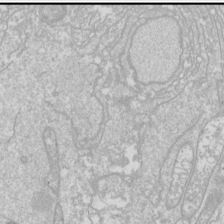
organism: Drosophila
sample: Cell division; meiosis; drosophila spermatocytes